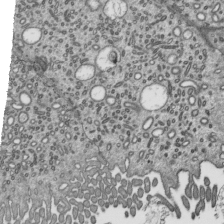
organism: Mouse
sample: Mouse epididymis efferent ductule cilia